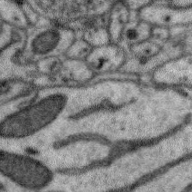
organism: Zebra finch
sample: Brain